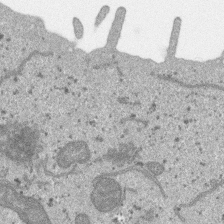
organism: Human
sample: Lung epithelial cells infected with SARS-CoV-2